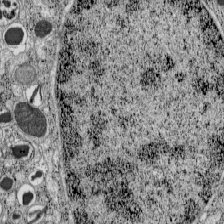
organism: C57BL Mouse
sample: Pancreatic islet